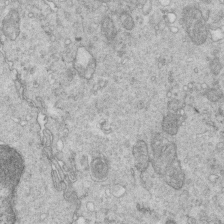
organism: Mouse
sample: Multiciliated cells